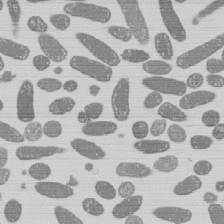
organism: E. coli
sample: Bacterial nucleoid